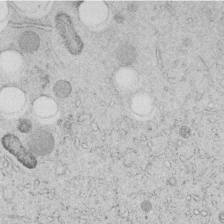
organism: C. elegans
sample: C. elegans embryo early stage